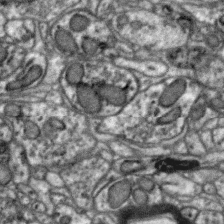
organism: Zebra finch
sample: Brain